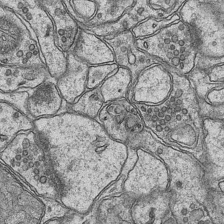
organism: Mouse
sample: CA1 Hippocampus